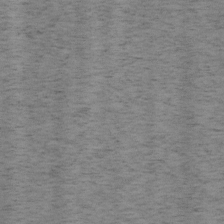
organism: Mouse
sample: OT-I killer T cells with ID8 ovarian cancer cells